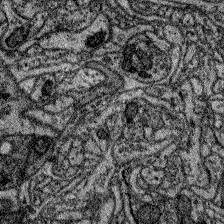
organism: Zebrafish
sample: Larval olfactory bulb